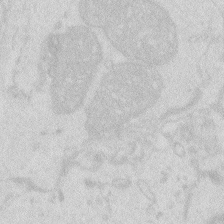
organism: Zebrafish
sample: Macrophage